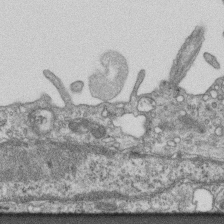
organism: Mouse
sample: Centriole in ependymal cells